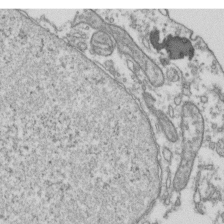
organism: Human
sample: Activated Jurkat CD4+ T cells